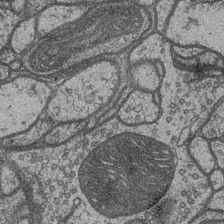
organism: Drosophila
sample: Optic medulla